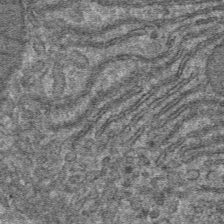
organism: Mouse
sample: Mouse hepatocytes